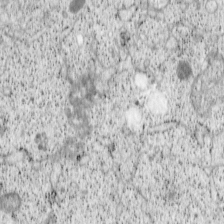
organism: African green monkey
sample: COS-7 cells